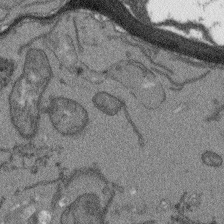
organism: Arabidopsis thaliana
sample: Root tip